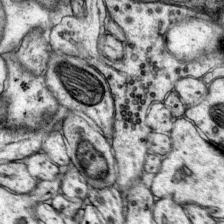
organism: Mouse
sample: Primary visual cortex